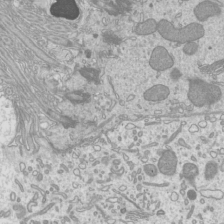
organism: Mouse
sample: Cilia; mouse epididymis